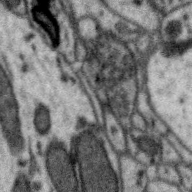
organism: Zebra finch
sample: Brain